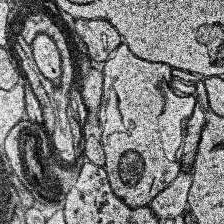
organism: Human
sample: Temporal Lobe